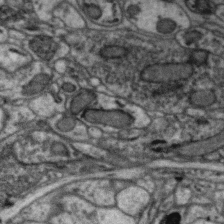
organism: Zebra finch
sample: Brain